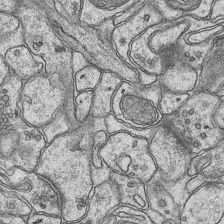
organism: Mouse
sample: CA1 Hippocampus